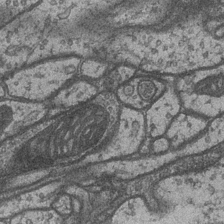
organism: Drosophila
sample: Optic medulla